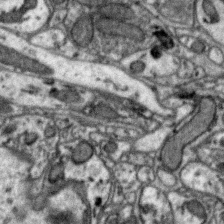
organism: Zebra finch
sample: Brain